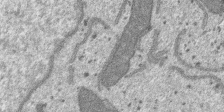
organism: Human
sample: Lung epithelial cells infected with SARS-CoV-2